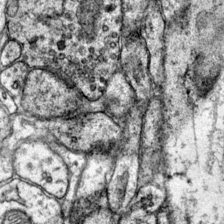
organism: Mouse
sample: Primary visual cortex